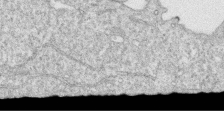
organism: Human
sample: HeLa cell HIV synapse